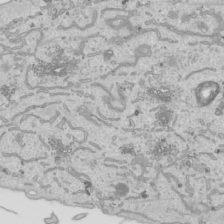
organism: Human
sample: Mitochondria in HCT116 cells